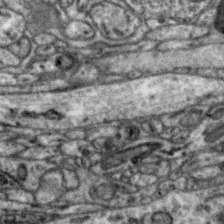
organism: Zebra finch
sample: Brain